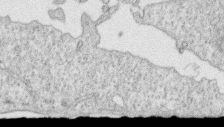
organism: Human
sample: HeLa cell HIV synapse